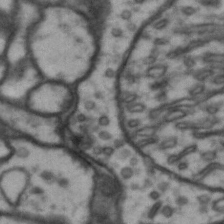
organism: Drosophila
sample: Brain